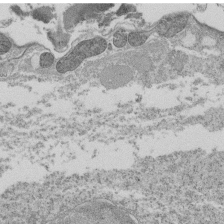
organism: Tetrahymena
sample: Cilia in tetrahymena